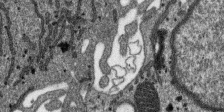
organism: Human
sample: Lung epithelial cells infected with SARS-CoV-2